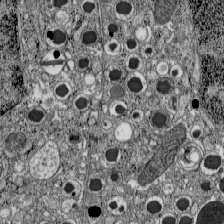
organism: C57BL Mouse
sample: Pancreatic islet